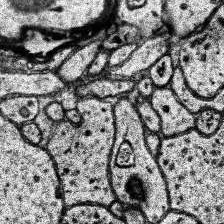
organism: Human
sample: Temporal Lobe